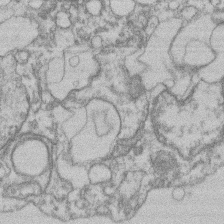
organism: Mouse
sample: T cell stromal cell synapse